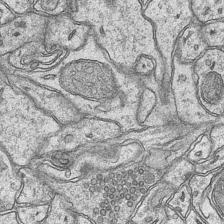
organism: Mouse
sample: CA1 Hippocampus